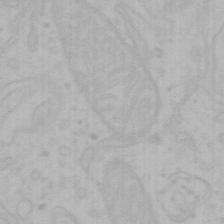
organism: Mouse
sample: Choroid plexus